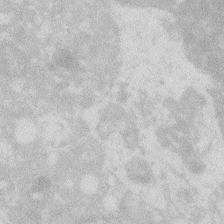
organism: Zebrafish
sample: Macrophage